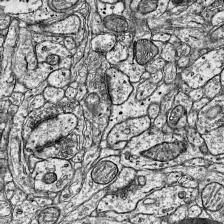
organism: Mouse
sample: Visual Cortex